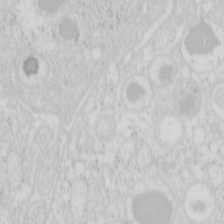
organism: Mouse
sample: Pancreas